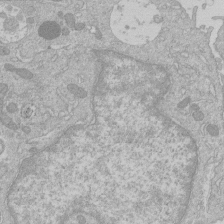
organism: Human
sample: Macrophage cells